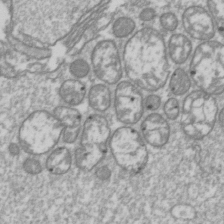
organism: Drosophila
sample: Cell division; meiosis; drosophila spermatocytes